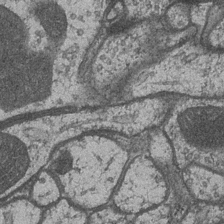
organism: Drosophila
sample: Optic medulla